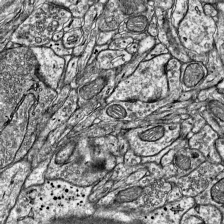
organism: Mouse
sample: Visual Cortex